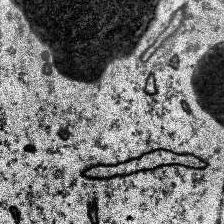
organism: Human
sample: Temporal Lobe